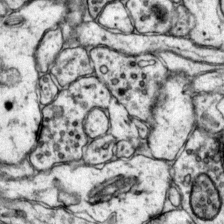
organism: Mouse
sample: Primary visual cortex